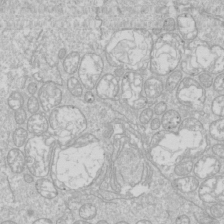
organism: Drosophila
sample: Cell division; meiosis; drosophila spermatocytes